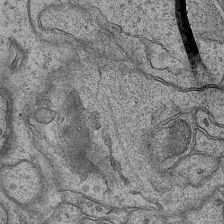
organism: Mouse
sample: CA1 Hippocampus